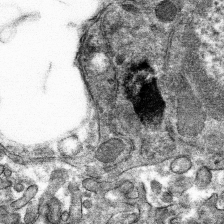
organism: Mouse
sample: Mouse hepatocytes